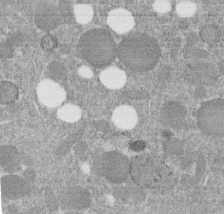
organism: C. elegans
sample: C. elegans embryo early stage